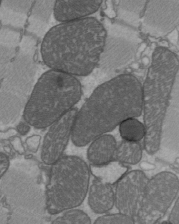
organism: C57BL Mouse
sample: Heart